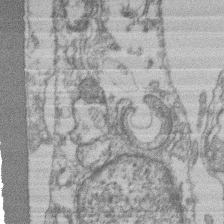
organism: Mouse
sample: T cell stromal cell synapse